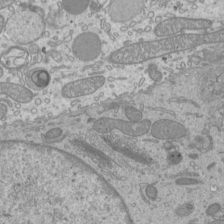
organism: Mouse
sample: Cilia; mouse epididymis